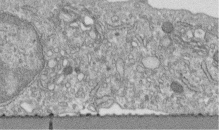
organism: Human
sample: Centriole in fibroblast cells